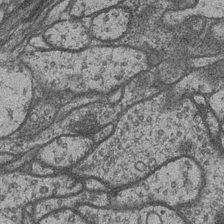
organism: Drosophila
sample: Optic medulla